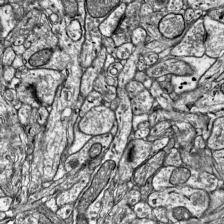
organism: Mouse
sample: Visual Cortex